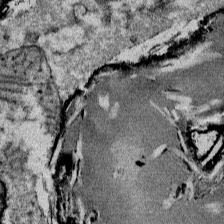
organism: Mouse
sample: Mouse Salivary gland